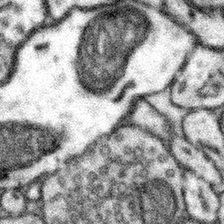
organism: Mouse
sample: Somatosensory cortex neuropil